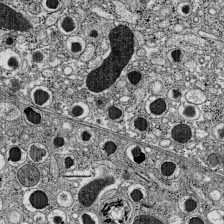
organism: C57BL Mouse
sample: Pancreatic islet